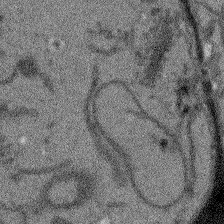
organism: Arabidopsis thaliana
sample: Root tip